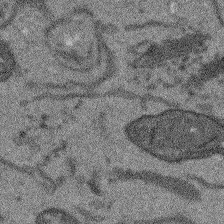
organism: Arabidopsis thaliana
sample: Root tip